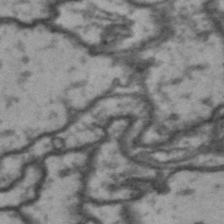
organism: Drosophila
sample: Brain